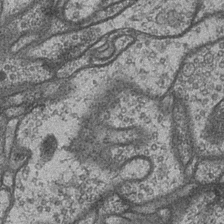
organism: Drosophila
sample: Optic medulla